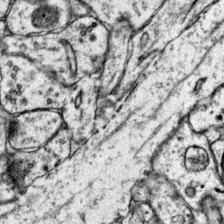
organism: Mouse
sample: Primary visual cortex